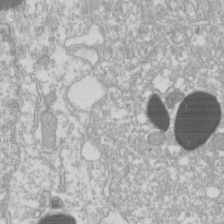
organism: Xenopus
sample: Cilia; centrioles in frog embryo cells